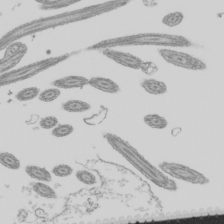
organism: Mouse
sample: Cilia; mouse epididymis